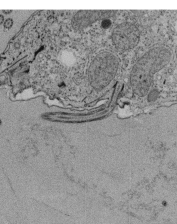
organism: Tetrahymena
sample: Cilia in tetrahymena